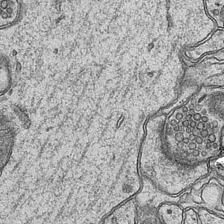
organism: Mouse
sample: CA1 Hippocampus